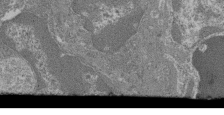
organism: Mouse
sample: Glomerulus